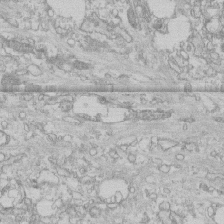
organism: Human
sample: CRL-1474